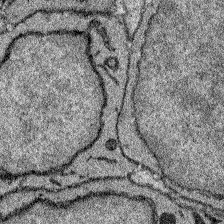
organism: Zebrafish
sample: Larval olfactory bulb